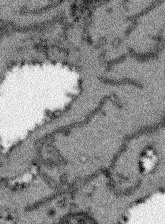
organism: Arabidopsis thaliana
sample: Root tip